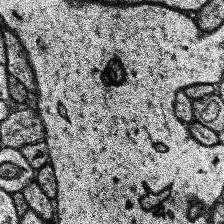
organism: Human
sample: Temporal Lobe